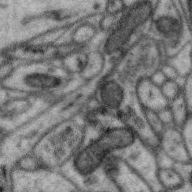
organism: Zebra finch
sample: Brain